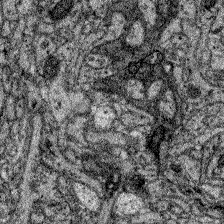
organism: Zebrafish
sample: Larval olfactory bulb